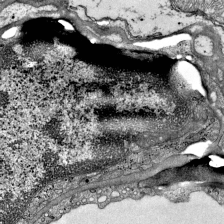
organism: Mouse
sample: Visual Cortex